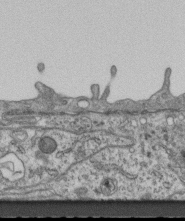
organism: Mouse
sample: Centriole in ependymal cells